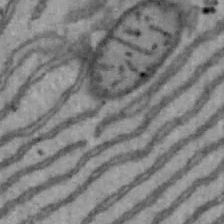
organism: Mouse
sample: Liver